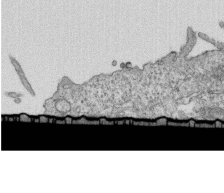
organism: Human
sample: HeLa cell HIV synapse